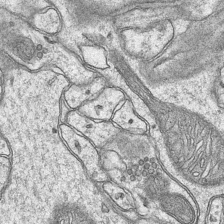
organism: Mouse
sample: CA1 Hippocampus